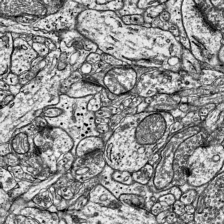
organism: Mouse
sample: Visual Cortex